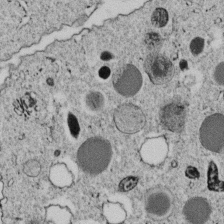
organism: C. elegans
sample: C. elegans embryo early stage